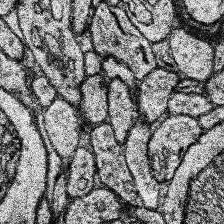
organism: Human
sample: Temporal Lobe